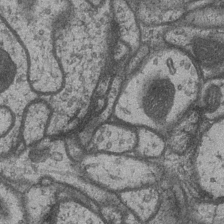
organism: Drosophila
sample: Optic medulla